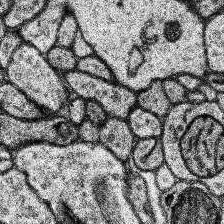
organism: Human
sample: Temporal Lobe